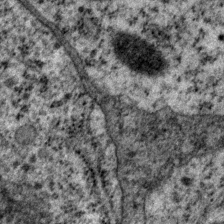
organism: P. pacificus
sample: Pharynx